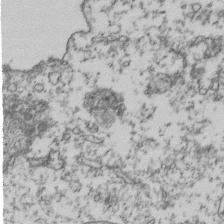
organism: Human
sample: Activated Jurkat CD4+ T cells